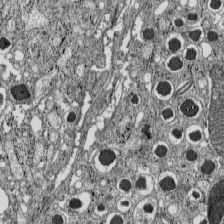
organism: C57BL Mouse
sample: Pancreatic islet